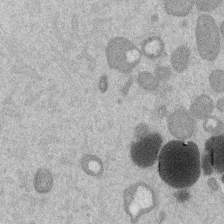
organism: Mouse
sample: Dividing mouse embryo 1 cell stage